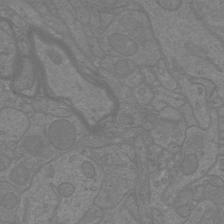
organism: Mouse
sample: Cortical neurons